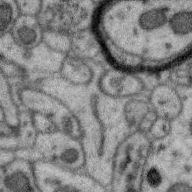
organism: Zebra finch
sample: Brain